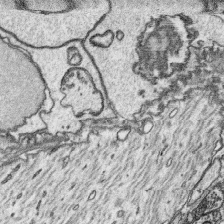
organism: Platynereis dumerilii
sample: Parapodia